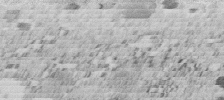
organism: C. elegans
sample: C. elegans embryo early stage